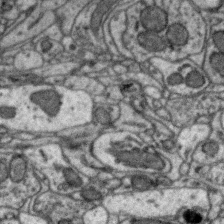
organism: Zebra finch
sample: Brain